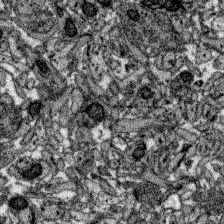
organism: Zebrafish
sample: Larval olfactory bulb